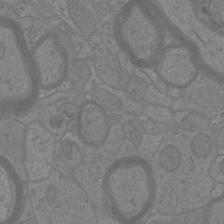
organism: Mouse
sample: Cortical neurons